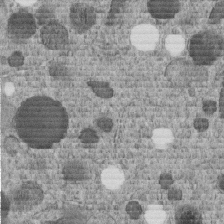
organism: C. elegans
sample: C. elegans embryo early stage